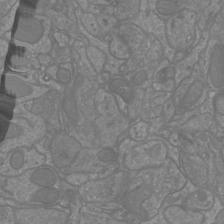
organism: Mouse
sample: Cortical neurons